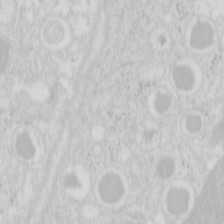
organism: Mouse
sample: Pancreas